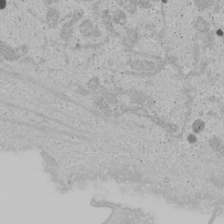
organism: Human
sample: Mitochondria in U2OS cells